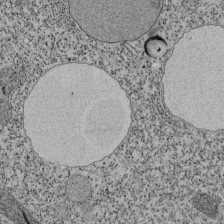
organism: Tetrahymena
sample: Cilia in tetrahymena